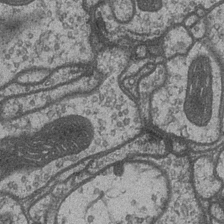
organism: Drosophila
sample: Optic medulla